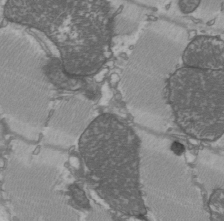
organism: C57BL Mouse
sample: Heart